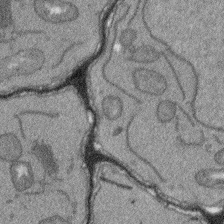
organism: Arabidopsis thaliana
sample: Root tip